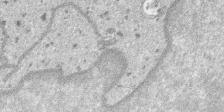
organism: Human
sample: Lung epithelial cells infected with SARS-CoV-2